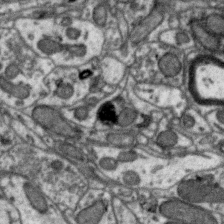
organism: Zebra finch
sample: Brain